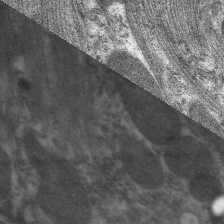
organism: C. elegans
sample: Pharynx